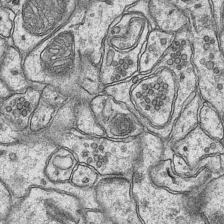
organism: Mouse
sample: CA1 Hippocampus